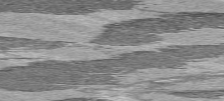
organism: C57BL Mouse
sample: Heart